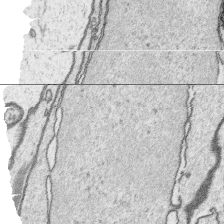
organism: Platynereis dumerilii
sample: Parapodia